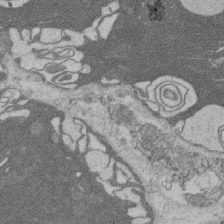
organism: Rat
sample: Salivary granule